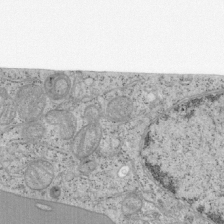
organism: Human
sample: HeLa cells